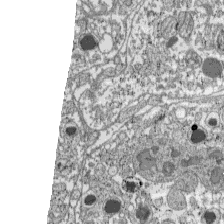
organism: C57BL Mouse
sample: Pancreatic islet